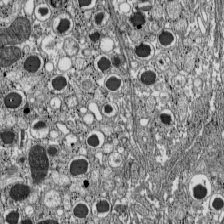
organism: C57BL Mouse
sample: Pancreatic islet